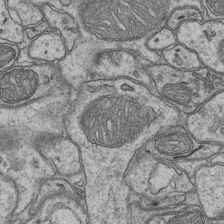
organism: Mouse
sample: CA1 Hippocampus